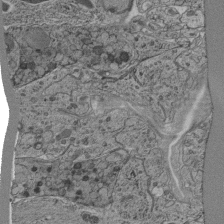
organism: C. elegans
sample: C. elegans pharynx